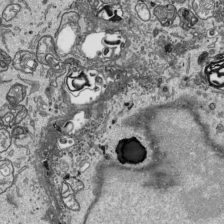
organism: Human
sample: Mitochondria in HCT116 cells